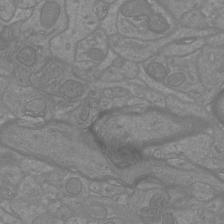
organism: Mouse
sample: Cortical neurons